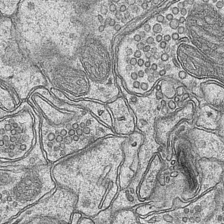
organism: Mouse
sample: CA1 Hippocampus